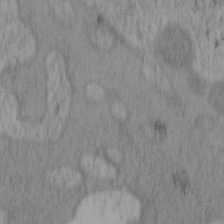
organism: Mouse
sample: OT-I killer T cells with ID8 ovarian cancer cells